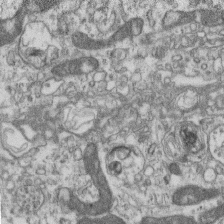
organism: Mouse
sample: Centriole in ependymal cells